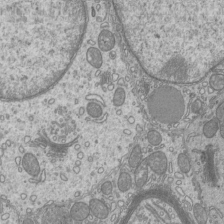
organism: Mouse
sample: Cilia; mouse epididymis